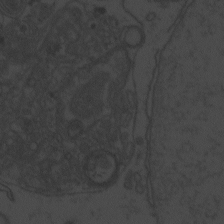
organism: Zebrafish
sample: Macrophage infected with Toxoplasma gondii